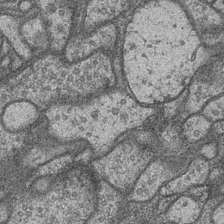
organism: Drosophila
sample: Optic medulla